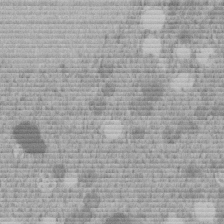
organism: C. elegans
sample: C. elegans embryo early stage